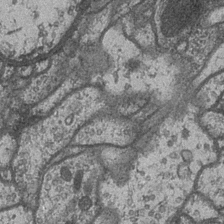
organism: Drosophila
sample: Optic medulla